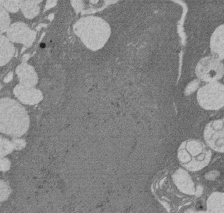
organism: Rat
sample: Salivary granule